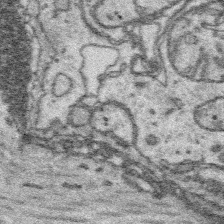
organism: Platynereis dumerilii